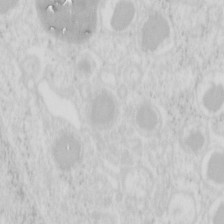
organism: Mouse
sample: Pancreas